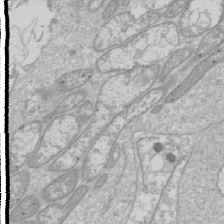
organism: Drosophila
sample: Cell division; meiosis; drosophila spermatocytes